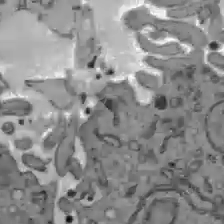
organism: C57BL Mouse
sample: Liver